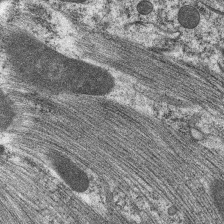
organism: C. elegans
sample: Pharynx